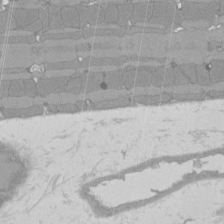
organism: Rat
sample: Left ventricle